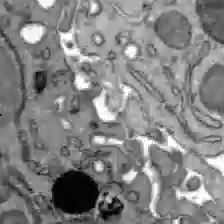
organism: C57BL Mouse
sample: Liver